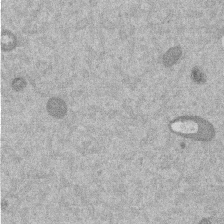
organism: Mouse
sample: Dividing mouse embryo 1 cell stage